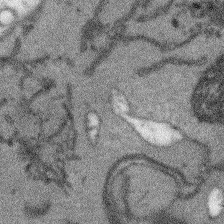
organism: Arabidopsis thaliana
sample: Root tip